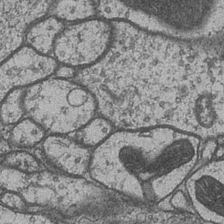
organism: Drosophila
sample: Optic medulla